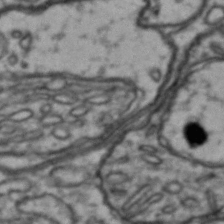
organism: Drosophila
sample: Brain